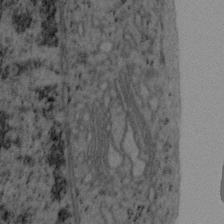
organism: Human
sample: HeLa cells